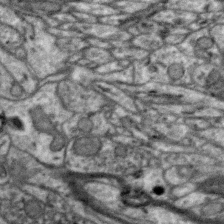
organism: Zebra finch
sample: Brain